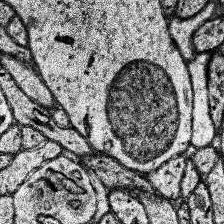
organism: Human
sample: Temporal Lobe